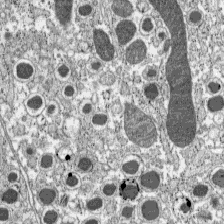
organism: C57BL Mouse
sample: Pancreatic islet